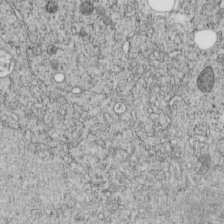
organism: C. elegans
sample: C. elegans embryo early stage